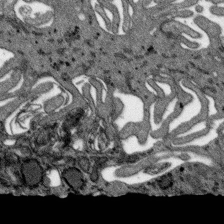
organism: Human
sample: Lung epithelial cells, uninfected (mock) control